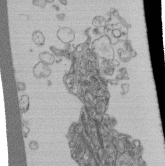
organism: Human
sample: Retinal organoid Rod and Cone cells